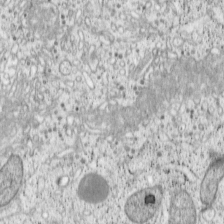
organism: African green monkey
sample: COS-7 cells